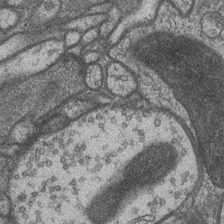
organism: Drosophila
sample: Optic medulla